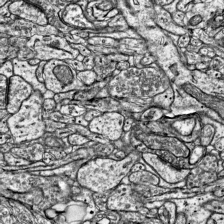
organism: Mouse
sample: Visual Cortex